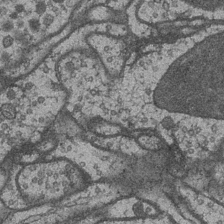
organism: Drosophila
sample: Optic medulla